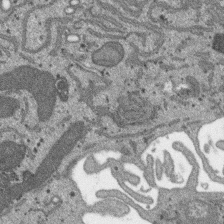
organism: Human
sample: Lung epithelial cells infected with SARS-CoV-2